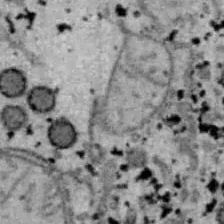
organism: Mouse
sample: Liver from an obese (ob/ob) mouse